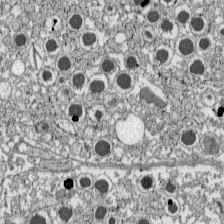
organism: C57BL Mouse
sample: Pancreatic islet